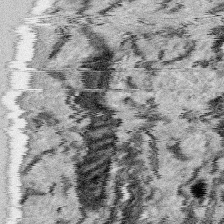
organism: Human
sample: HeLa cells